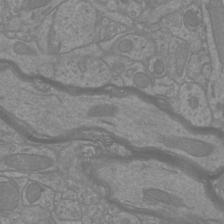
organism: Mouse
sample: Cortical neurons